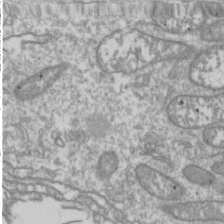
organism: Drosophila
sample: Cell division; meiosis; drosophila spermatocytes